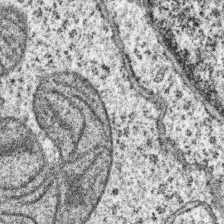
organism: Human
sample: HeLa cells